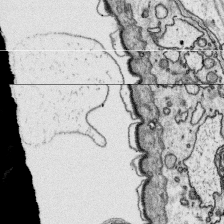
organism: Platynereis dumerilii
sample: Parapodia